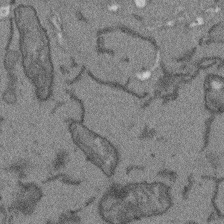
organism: Arabidopsis thaliana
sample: Root tip